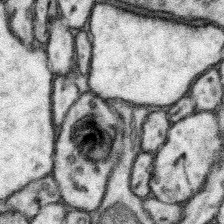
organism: Mouse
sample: Somatosensory cortex neuropil